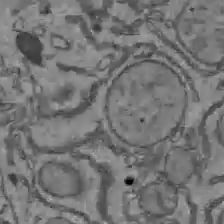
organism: C57BL Mouse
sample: Liver